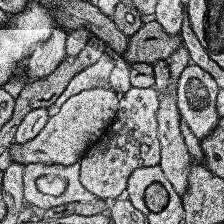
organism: Human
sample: Temporal Lobe